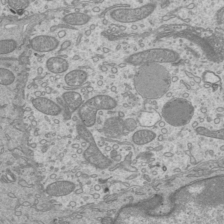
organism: Mouse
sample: Cilia; mouse epididymis